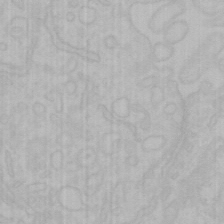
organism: Mouse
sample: Choroid plexus